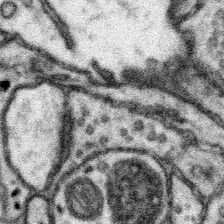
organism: Mouse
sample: Somatosensory cortex neuropil